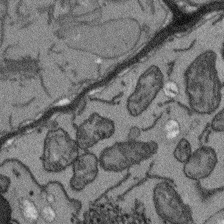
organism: Arabidopsis thaliana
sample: Root tip